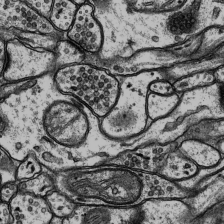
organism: Rat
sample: Hippocampus